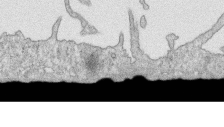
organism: Human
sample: HeLa cell HIV synapse